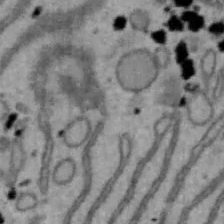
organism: Mouse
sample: Liver